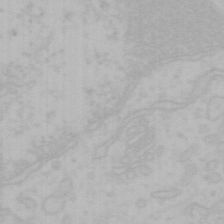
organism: Mouse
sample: Choroid plexus